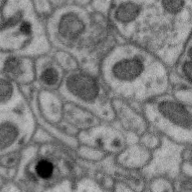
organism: Zebra finch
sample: Brain